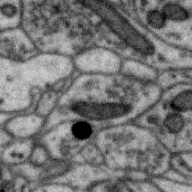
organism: Zebra finch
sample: Brain